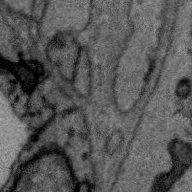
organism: Zebra finch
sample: Brain